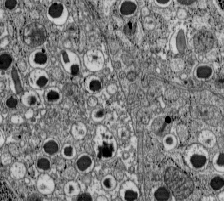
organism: C57BL Mouse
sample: Pancreatic islet